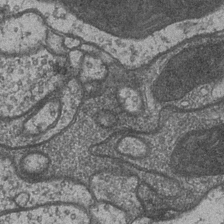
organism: Drosophila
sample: Optic medulla